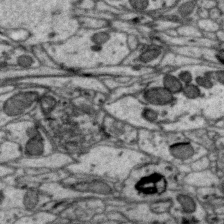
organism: Zebra finch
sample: Brain